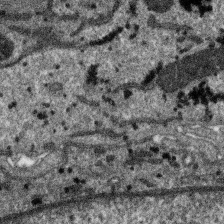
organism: Human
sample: Lung epithelial cells infected with SARS-CoV-2